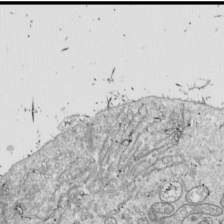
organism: Drosophila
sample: Cell division; meiosis; drosophila spermatocytes